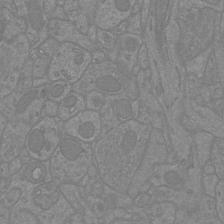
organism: Mouse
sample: Cortical neurons